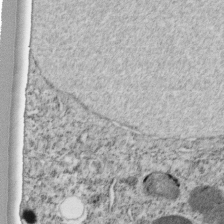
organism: C. elegans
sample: C. elegans embryo early stage